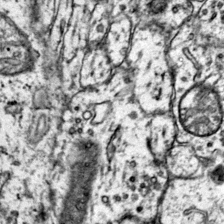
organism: Mouse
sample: Primary visual cortex